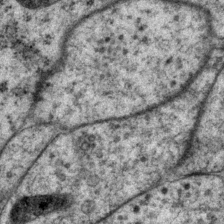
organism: P. pacificus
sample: Pharynx